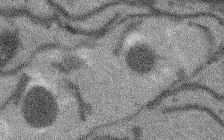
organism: Arabidopsis thaliana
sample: Root tip